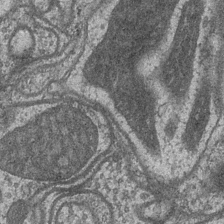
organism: Drosophila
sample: Optic medulla